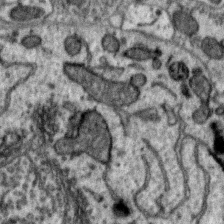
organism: Zebra finch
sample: Brain